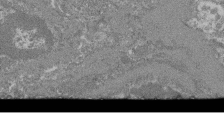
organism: Mouse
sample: Glomerulus